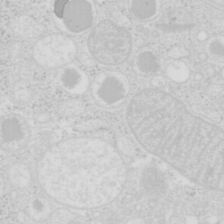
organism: Mouse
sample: Pancreas